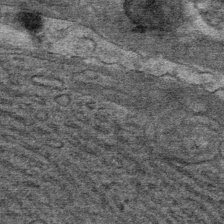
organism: Mouse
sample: Mouse Salivary gland